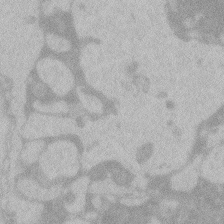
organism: Zebrafish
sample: Macrophage infected with Toxoplasma gondii